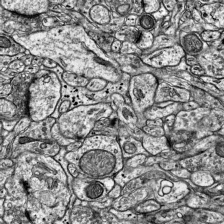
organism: Mouse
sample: Visual Cortex